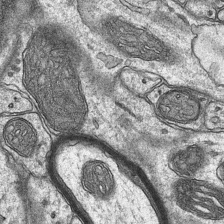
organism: Mouse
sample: CA1 Hippocampus